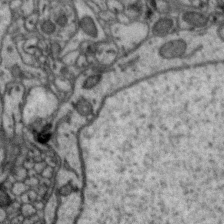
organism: Zebra finch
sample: Brain